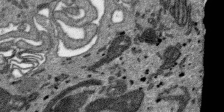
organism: Human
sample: Lung epithelial cells, uninfected (mock) control